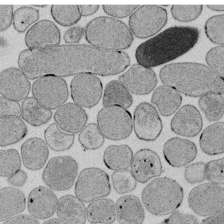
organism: E. coli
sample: Bacterial nucleoid